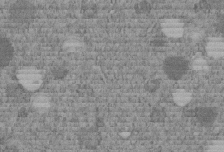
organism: C. elegans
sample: C. elegans embryo early stage